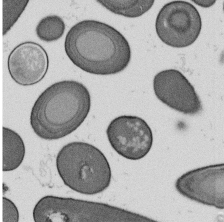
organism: B. subtilis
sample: Bacterial spore